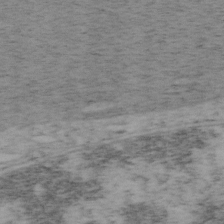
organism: Mouse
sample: OT-I killer T cells with ID8 ovarian cancer cells